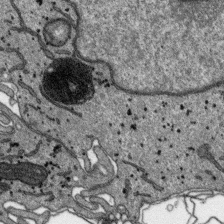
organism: Human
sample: Lung epithelial cells, uninfected (mock) control